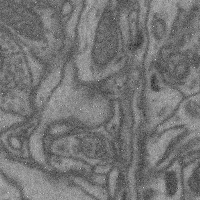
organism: Mouse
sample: Cerebral cortex